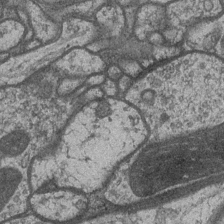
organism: Drosophila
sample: Optic medulla